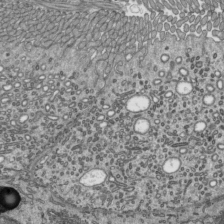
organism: Mouse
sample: Mouse epididymis efferent ductule cilia